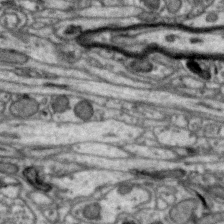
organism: Zebra finch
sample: Brain